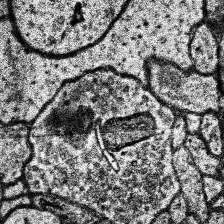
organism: Human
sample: Temporal Lobe